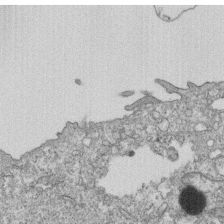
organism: Human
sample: HeLa cell HIV synapse